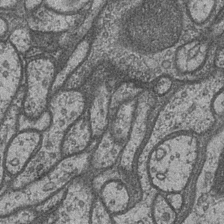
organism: Drosophila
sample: Optic medulla